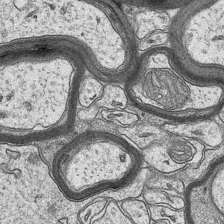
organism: Mouse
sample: CA1 Hippocampus